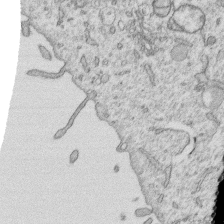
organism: Human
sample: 1205lu cells